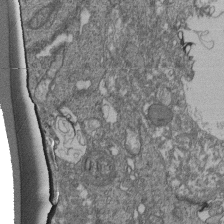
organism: Human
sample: Retinal organoid Rod and Cone cells